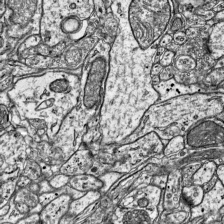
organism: Mouse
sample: Visual Cortex